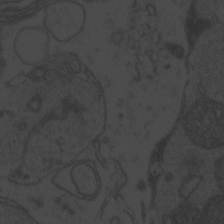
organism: Zebrafish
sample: Macrophage infected with Toxoplasma gondii